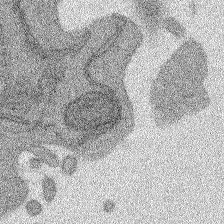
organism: Human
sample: HeLa cells